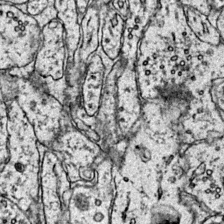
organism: Mouse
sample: Primary visual cortex